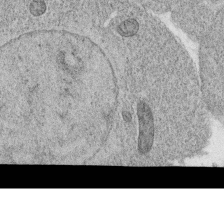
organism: C. elegans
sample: C. elegans oocyte; sperm cells